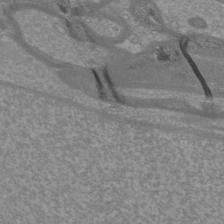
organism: Mouse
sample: Cortical neurons